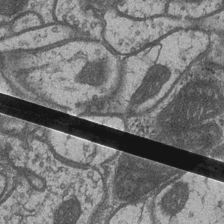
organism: Drosophila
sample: Optic medulla